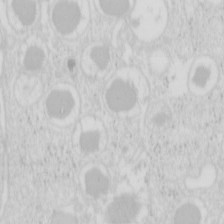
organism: Mouse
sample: Pancreas